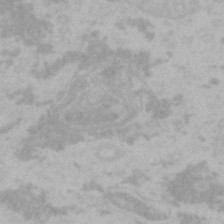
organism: Mouse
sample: Choroid plexus